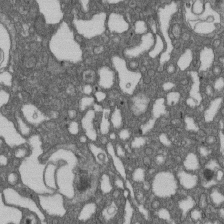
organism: Drosophila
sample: Nephrocyte